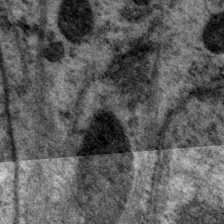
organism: P. pacificus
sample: Pharynx